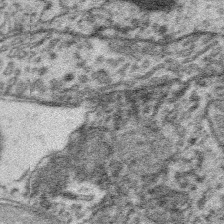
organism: Platynereis dumerilii